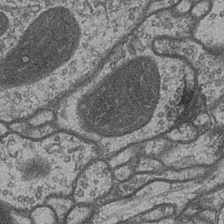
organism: Drosophila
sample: Optic medulla